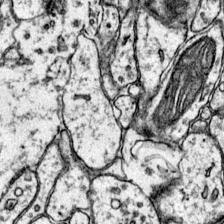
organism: Mouse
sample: Primary visual cortex